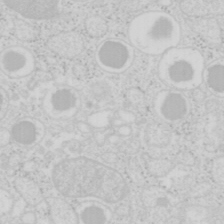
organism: Mouse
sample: Pancreas